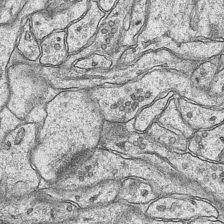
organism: Mouse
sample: CA1 Hippocampus